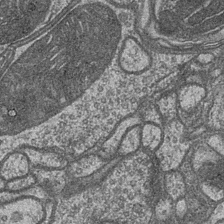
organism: Drosophila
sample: Optic medulla